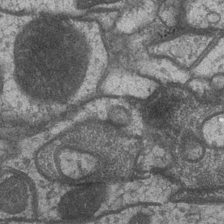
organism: Drosophila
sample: Optic medulla